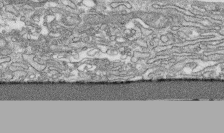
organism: Human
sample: CRL-1474